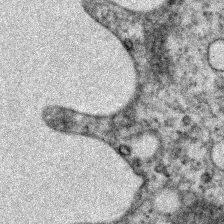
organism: Zebrafish